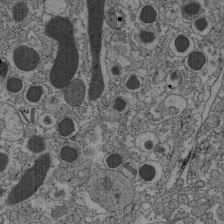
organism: C57BL Mouse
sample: Pancreatic islet